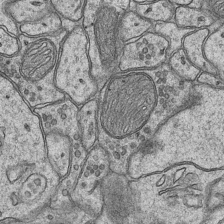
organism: Mouse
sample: CA1 Hippocampus